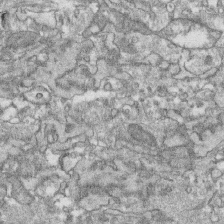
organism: Human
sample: CRL-1474